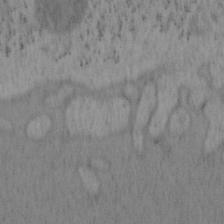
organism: Mouse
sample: OT-I killer T cells with ID8 ovarian cancer cells